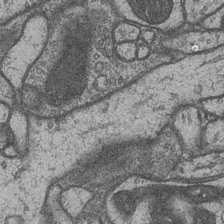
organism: Drosophila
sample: Optic medulla